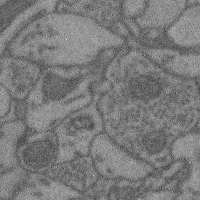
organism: Mouse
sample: Cerebral cortex